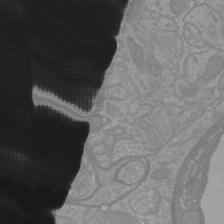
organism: Mouse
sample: Cortical neurons